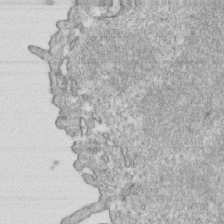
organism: Mouse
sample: Activated OT-1 CD8+ T cells